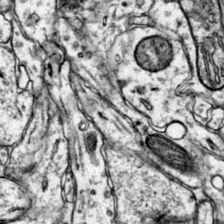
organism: Mouse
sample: Primary visual cortex